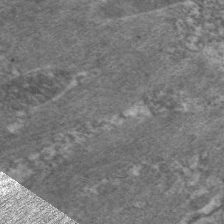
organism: C. elegans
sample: Pharynx